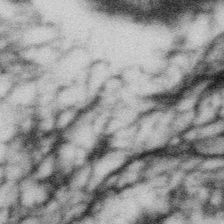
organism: Gemmata obscuriglobus